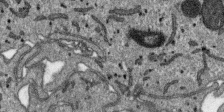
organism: Human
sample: Lung epithelial cells, uninfected (mock) control